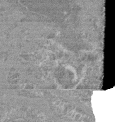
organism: Mouse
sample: Glomerulus